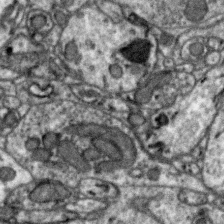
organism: Zebra finch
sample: Brain